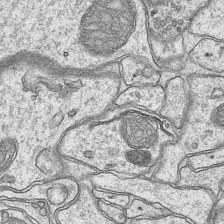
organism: Mouse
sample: CA1 Hippocampus